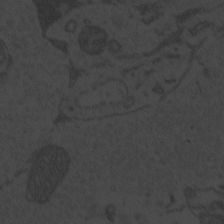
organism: Zebrafish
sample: Macrophage infected with Toxoplasma gondii